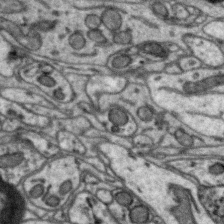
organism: Zebra finch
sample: Brain